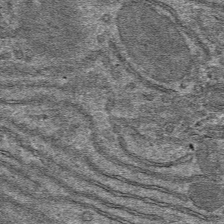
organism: Mouse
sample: Mouse hepatocytes